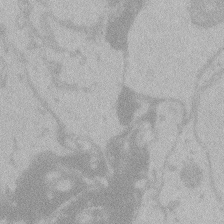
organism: Zebrafish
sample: Macrophage infected with Toxoplasma gondii